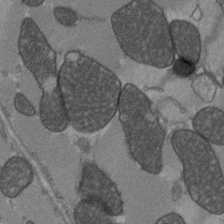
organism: C57BL Mouse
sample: Heart